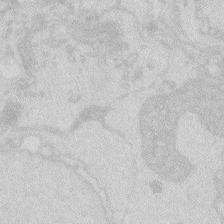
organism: Zebrafish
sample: Macrophage